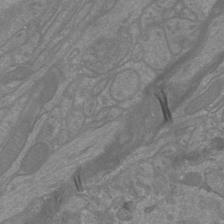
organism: Mouse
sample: Cortical neurons